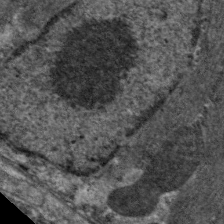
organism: C. elegans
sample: Pharynx